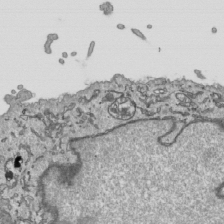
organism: Human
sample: Mitochondria in HCT116 cells